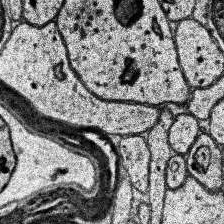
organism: Human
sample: Temporal Lobe